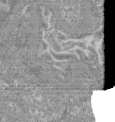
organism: Mouse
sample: Glomerulus